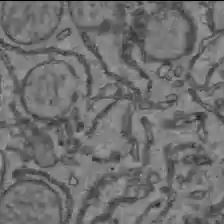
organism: C57BL Mouse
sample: Liver